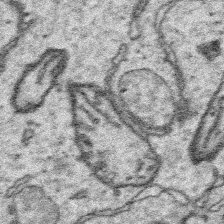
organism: Platynereis dumerilii